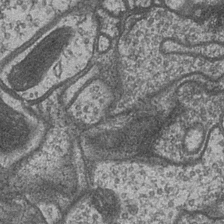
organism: Drosophila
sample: Optic medulla